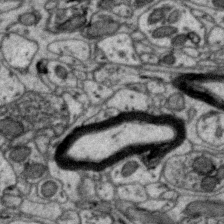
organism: Zebra finch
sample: Brain